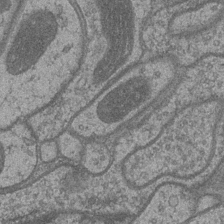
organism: Drosophila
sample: Optic medulla